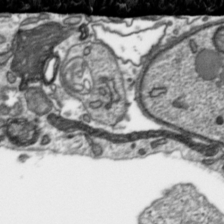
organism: Toxoplasma gondii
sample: Parasites in a vacuole inside a host cell